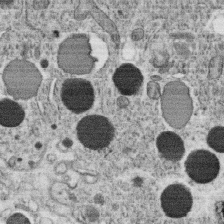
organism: C. elegans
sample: C. elegans oocyte; sperm cells